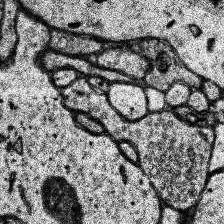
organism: Human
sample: Temporal Lobe